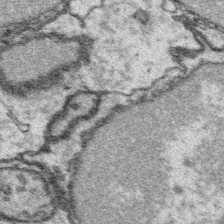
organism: Platynereis dumerilii